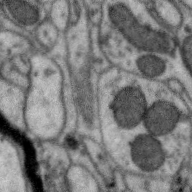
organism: Zebra finch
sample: Brain